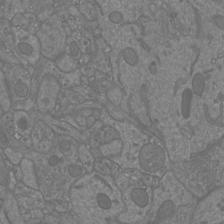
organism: Mouse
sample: Cortical neurons